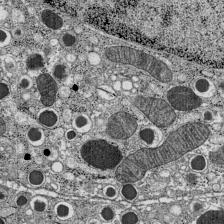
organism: C57BL Mouse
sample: Pancreatic islet